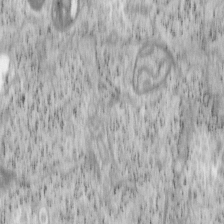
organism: Human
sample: HeLa cells